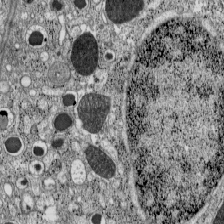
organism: C57BL Mouse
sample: Pancreatic islet